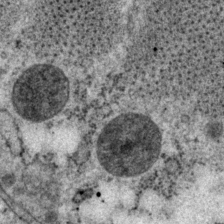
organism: P. pacificus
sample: Pharynx